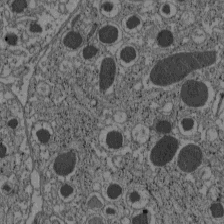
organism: C57BL Mouse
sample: Pancreatic islet